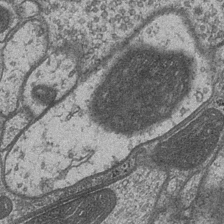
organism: Drosophila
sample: Optic medulla